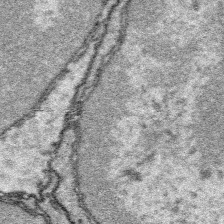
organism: Platynereis dumerilii